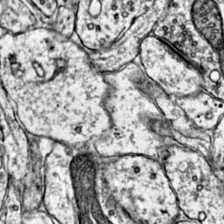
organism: Mouse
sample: Primary visual cortex